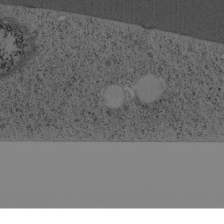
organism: African green monkey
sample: COS-7 cells